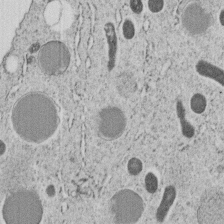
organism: C. elegans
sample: C. elegans embryo early stage